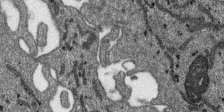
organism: Human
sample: Lung epithelial cells infected with SARS-CoV-2